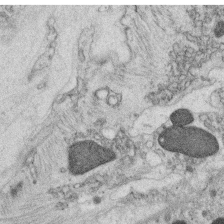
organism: C. elegans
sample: C. elegans oocyte; sperm cells